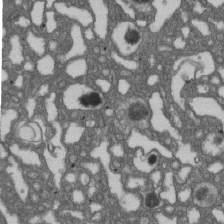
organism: Drosophila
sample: Nephrocyte